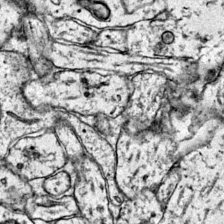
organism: Mouse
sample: Primary visual cortex